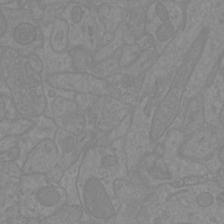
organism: Mouse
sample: Cortical neurons